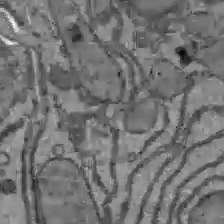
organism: C57BL Mouse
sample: Liver